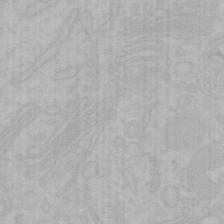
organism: Mouse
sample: Choroid plexus